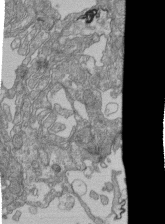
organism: Human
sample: Retinal organoid Rod and Cone cells